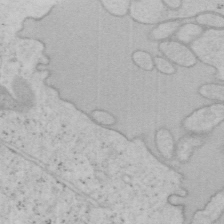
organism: Human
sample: HeLa cells